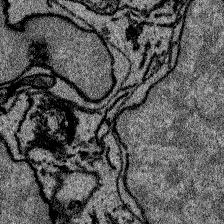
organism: Zebrafish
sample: Larval olfactory bulb